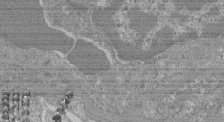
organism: Mouse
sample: Glomerulus